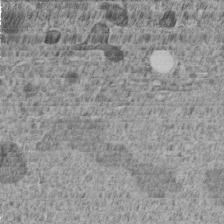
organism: C. elegans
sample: C. elegans embryo early stage